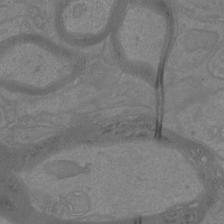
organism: Mouse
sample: Cortical neurons